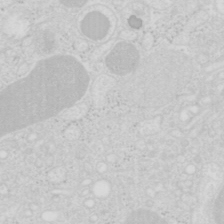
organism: Mouse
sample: Pancreas